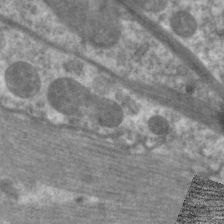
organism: C. elegans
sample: Pharynx